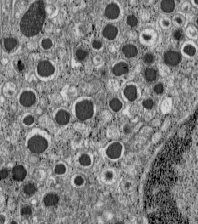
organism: C57BL Mouse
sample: Pancreatic islet